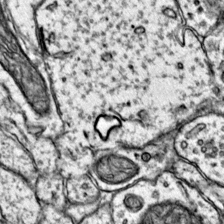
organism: Mouse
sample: Primary visual cortex